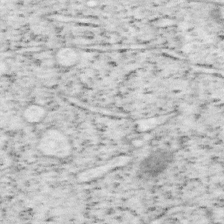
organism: Mouse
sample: OT-I killer T cells with ID8 ovarian cancer cells